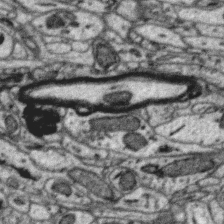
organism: Zebra finch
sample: Brain